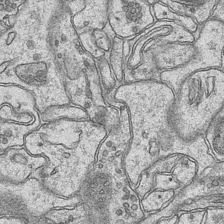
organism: Mouse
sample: CA1 Hippocampus